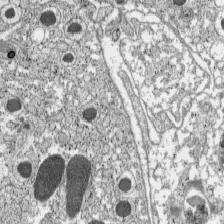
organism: C57BL Mouse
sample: Pancreatic islet